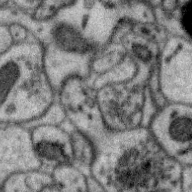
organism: Zebra finch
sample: Brain